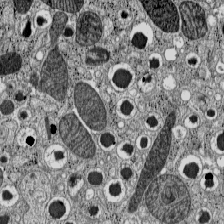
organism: C57BL Mouse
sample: Pancreatic islet